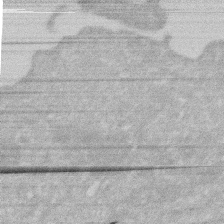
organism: Human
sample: HIV infected U937 cells